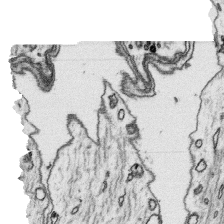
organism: Platynereis dumerilii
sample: Parapodia